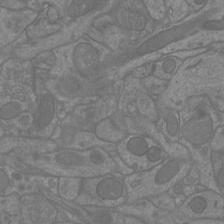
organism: Mouse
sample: Cortical neurons